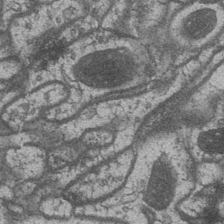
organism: Drosophila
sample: Optic medulla